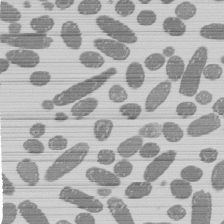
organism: E. coli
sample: Bacterial nucleoid